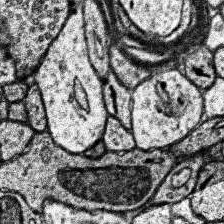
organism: Human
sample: Temporal Lobe